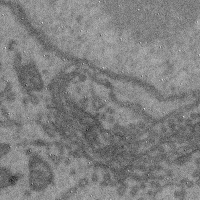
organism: Mouse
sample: Cerebral cortex